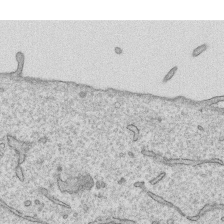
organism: Human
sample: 1205lu cells